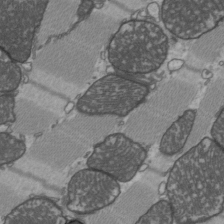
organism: C57BL Mouse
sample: Heart